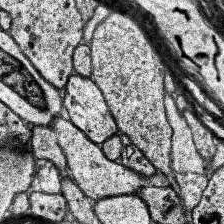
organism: Human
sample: Temporal Lobe